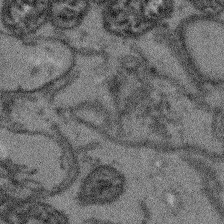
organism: Arabidopsis thaliana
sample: Root tip